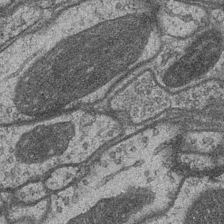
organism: Drosophila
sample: Optic medulla